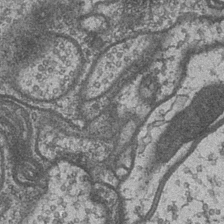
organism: Drosophila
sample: Optic medulla